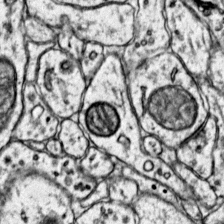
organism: Mouse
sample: Primary visual cortex